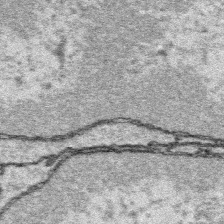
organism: Platynereis dumerilii